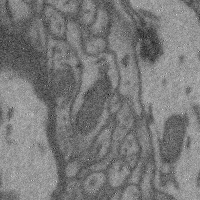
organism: Mouse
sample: Cerebral cortex